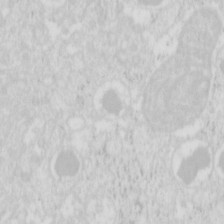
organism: Mouse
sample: Pancreas